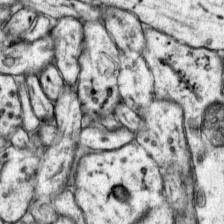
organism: Mouse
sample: Primary visual cortex